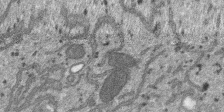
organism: Human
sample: Lung epithelial cells infected with SARS-CoV-2